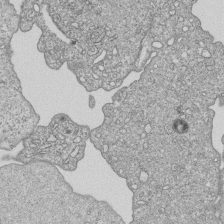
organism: Human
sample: MDA-MB-231 cells